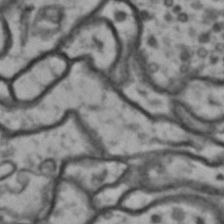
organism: Drosophila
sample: Brain